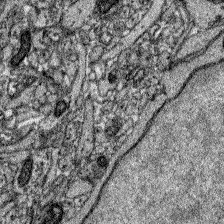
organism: Zebrafish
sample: Larval olfactory bulb